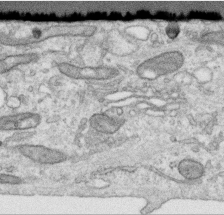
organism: Human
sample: Centriole in RPE cells